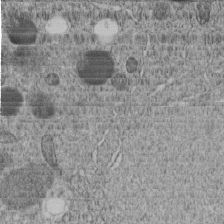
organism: C. elegans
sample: C. elegans embryo early stage